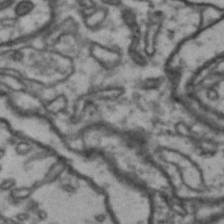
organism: Drosophila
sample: Brain